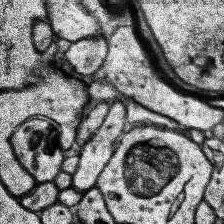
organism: Human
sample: Temporal Lobe